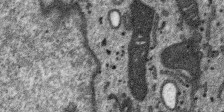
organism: Human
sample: Lung epithelial cells infected with SARS-CoV-2